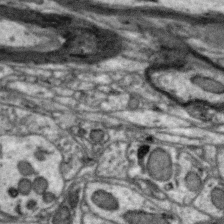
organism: Zebra finch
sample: Brain